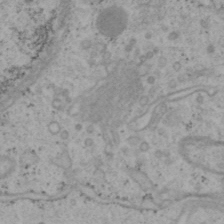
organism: Human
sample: HeLa cells